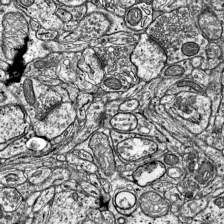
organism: Mouse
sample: Visual Cortex